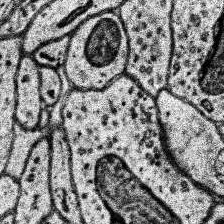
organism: Human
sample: Temporal Lobe